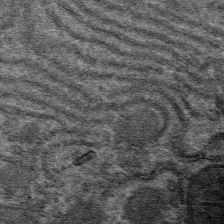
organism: Mouse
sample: Mouse hepatocytes